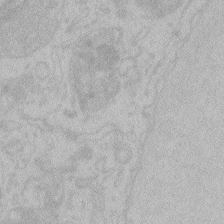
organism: Zebrafish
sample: Macrophage infected with Toxoplasma gondii